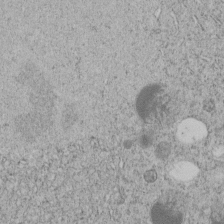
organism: C. elegans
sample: C. elegans embryo early stage